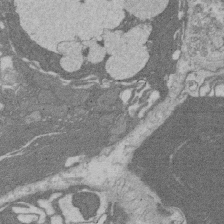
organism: Rat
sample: Salivary granule